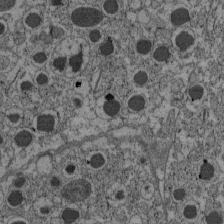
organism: C57BL Mouse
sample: Pancreatic islet